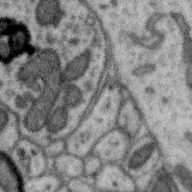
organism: Zebra finch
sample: Brain